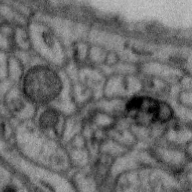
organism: Zebra finch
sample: Brain